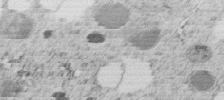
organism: C. elegans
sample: C. elegans embryo early stage